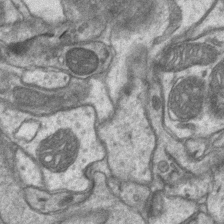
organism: Mouse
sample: CA1 Hippocampus